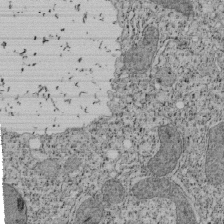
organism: Tetrahymena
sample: Cilia in tetrahymena